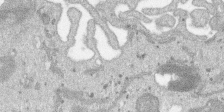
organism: Human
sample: Lung epithelial cells infected with SARS-CoV-2